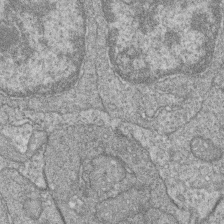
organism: Zebrafish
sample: Cilia; retinal pigment epithelium